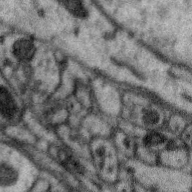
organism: Zebra finch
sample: Brain